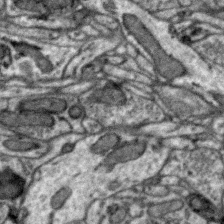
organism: Zebra finch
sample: Brain